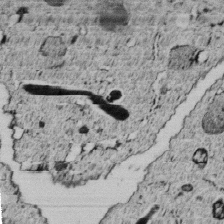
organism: C. elegans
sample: C. elegans embryo early stage